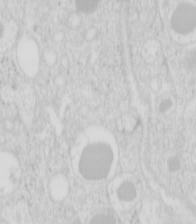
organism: Mouse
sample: Pancreas